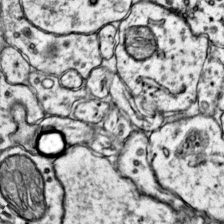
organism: Mouse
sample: Primary visual cortex